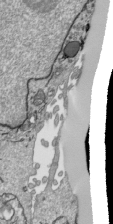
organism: Human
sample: Mitochondria in HCT116 cells